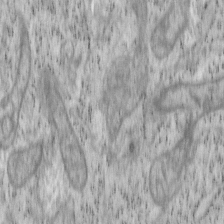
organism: Human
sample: HeLa cells